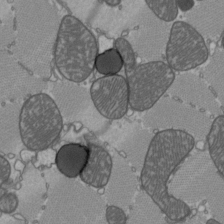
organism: C57BL Mouse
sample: Heart